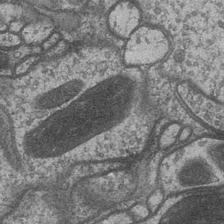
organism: Drosophila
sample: Optic medulla